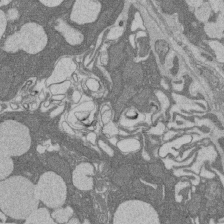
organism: Rat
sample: Salivary granule